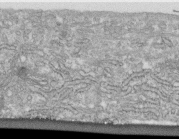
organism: Human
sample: Centriole in fibroblast cells